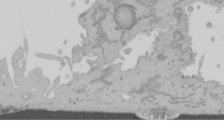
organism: Mouse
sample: Cancer cell death in ED-1 cells